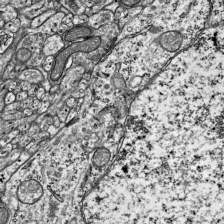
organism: Mouse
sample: Visual Cortex